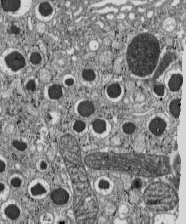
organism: C57BL Mouse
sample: Pancreatic islet